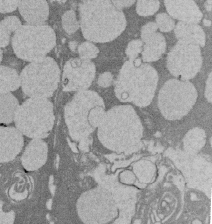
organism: Rat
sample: Salivary granule